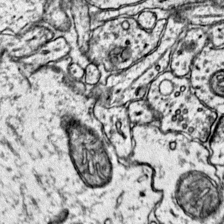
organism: Mouse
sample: Primary visual cortex